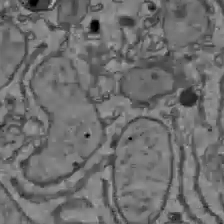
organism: C57BL Mouse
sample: Liver